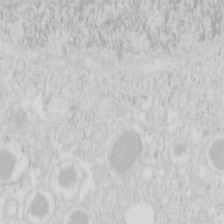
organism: Mouse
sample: Pancreas